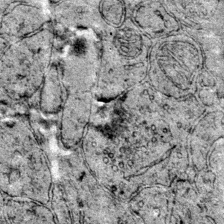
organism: Mouse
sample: Primary visual cortex